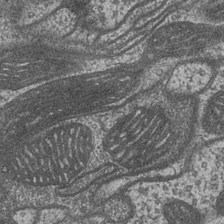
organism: Drosophila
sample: Optic medulla